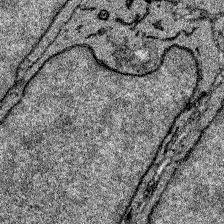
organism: Zebrafish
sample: Larval olfactory bulb